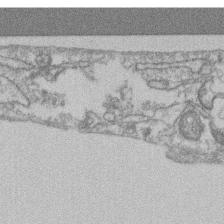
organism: Mouse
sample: T cell stromal cell synapse